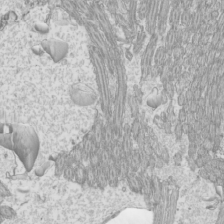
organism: Mouse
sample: Cilia; mouse epididymis